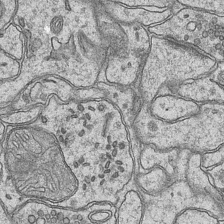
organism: Mouse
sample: CA1 Hippocampus